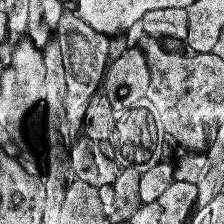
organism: Human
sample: Temporal Lobe